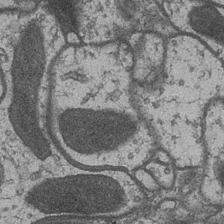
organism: Drosophila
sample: Optic medulla